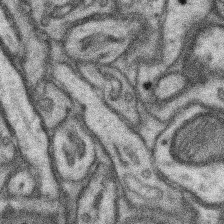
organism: Mouse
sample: Somatosensory cortex neuropil